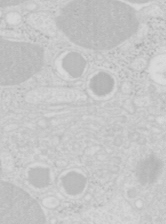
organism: Mouse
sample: Pancreas